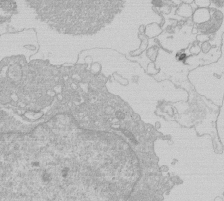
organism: Human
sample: Macrophage cells